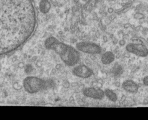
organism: Human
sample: Centriole in RPE cells